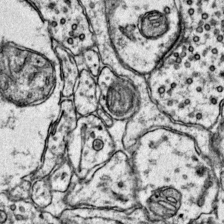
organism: Mouse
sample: Primary visual cortex